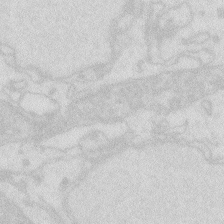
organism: Zebrafish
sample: Macrophage